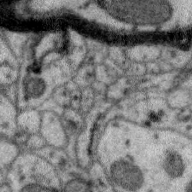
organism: Zebra finch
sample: Brain